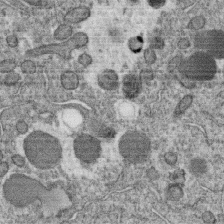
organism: C. elegans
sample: C. elegans oocyte; sperm cells